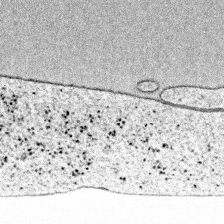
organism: Human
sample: HeLa cells